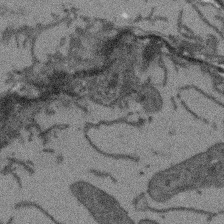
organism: Arabidopsis thaliana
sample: Root tip